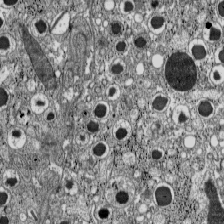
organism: C57BL Mouse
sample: Pancreatic islet